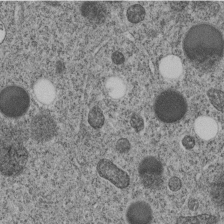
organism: C. elegans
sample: C. elegans embryo early stage